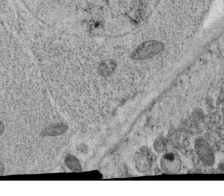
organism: C. elegans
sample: C. elegans oocyte; sperm cells